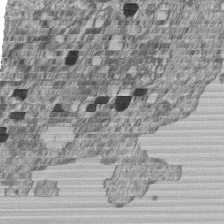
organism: Human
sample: MDA-MB-231 cells